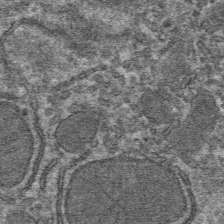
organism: Mouse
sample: Mouse hepatocytes